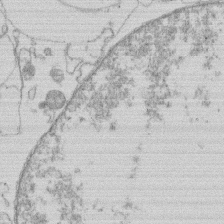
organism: Human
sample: Macrophage cells